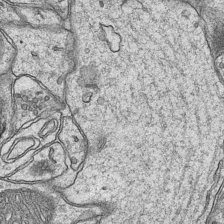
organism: Mouse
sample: CA1 Hippocampus